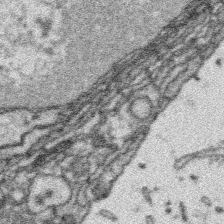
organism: Platynereis dumerilii